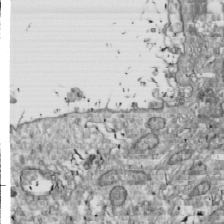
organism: Drosophila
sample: Cell division; meiosis; drosophila spermatocytes